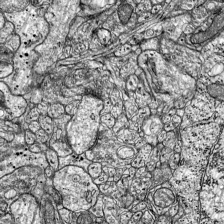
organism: Mouse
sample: Visual Cortex